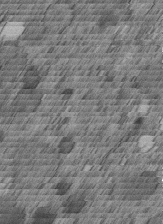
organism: C. elegans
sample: C. elegans embryo early stage